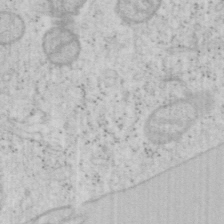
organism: Human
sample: HeLa cells